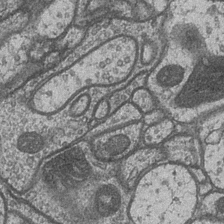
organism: Drosophila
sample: Optic medulla